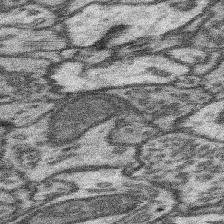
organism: Mouse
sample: Somatosensory cortex neuropil